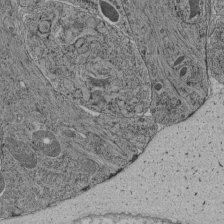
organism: C. elegans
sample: C. elegans pharynx